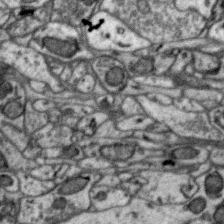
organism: Zebra finch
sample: Brain